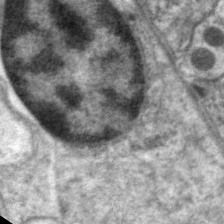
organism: C. elegans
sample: Pharynx